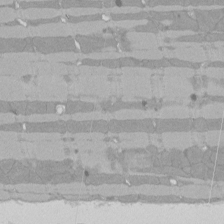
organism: Rat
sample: Left ventricle